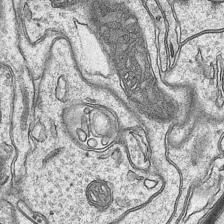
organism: Mouse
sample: CA1 Hippocampus